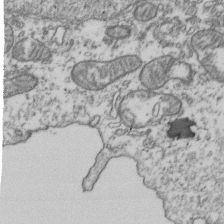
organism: Human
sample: Activated Jurkat CD4+ T cells